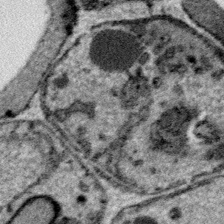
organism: Plasmodium falciparum